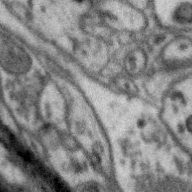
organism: Zebra finch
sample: Brain